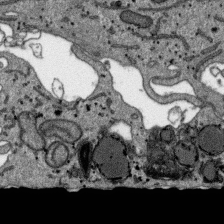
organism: Human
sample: Lung epithelial cells, uninfected (mock) control